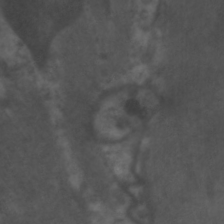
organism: C. elegans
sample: Pharynx